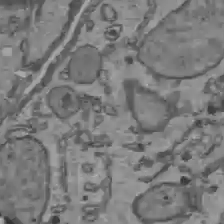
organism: C57BL Mouse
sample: Liver